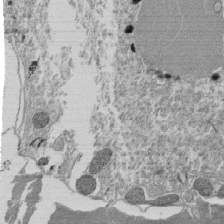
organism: Tetrahymena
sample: Cilia in tetrahymena